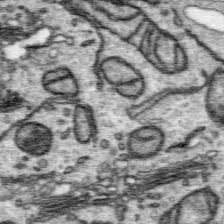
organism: Human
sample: HeLa cells